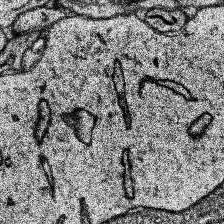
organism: Human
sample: Temporal Lobe